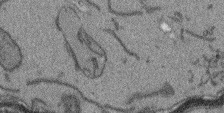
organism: Arabidopsis thaliana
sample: Root tip